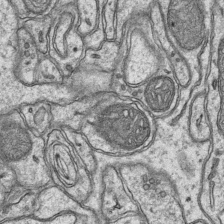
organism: Mouse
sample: CA1 Hippocampus